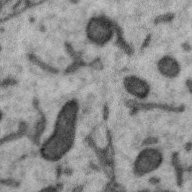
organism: Zebra finch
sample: Brain